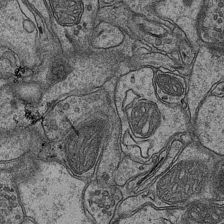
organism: Mouse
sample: CA1 Hippocampus